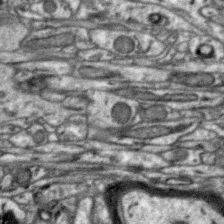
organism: Zebra finch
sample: Brain